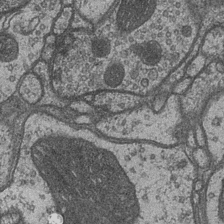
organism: Drosophila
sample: Optic medulla